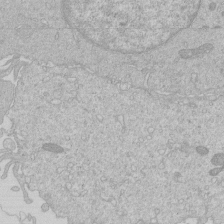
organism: Human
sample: Macrophage cells